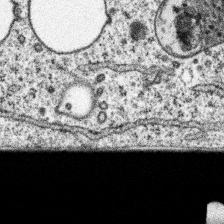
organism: Human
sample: HeLa cells